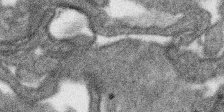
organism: Human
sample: Lung epithelial cells infected with SARS-CoV-2